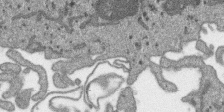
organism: Human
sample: Lung epithelial cells infected with SARS-CoV-2